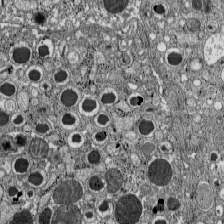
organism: C57BL Mouse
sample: Pancreatic islet